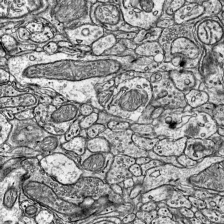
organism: Mouse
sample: Visual Cortex